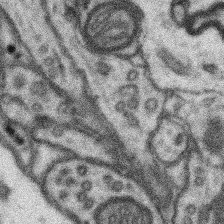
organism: Mouse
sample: Somatosensory cortex neuropil